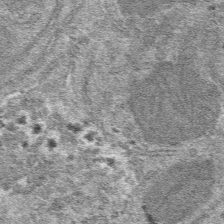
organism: Mouse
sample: Mouse hepatocytes